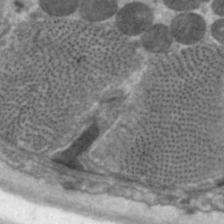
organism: C. elegans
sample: Pharynx